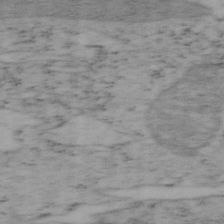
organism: Mouse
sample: OT-I killer T cells with ID8 ovarian cancer cells